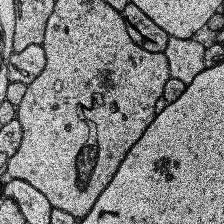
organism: Human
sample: Temporal Lobe